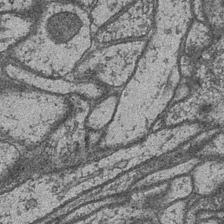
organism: Drosophila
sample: Optic medulla